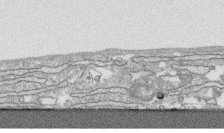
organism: Human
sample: CRL-1474